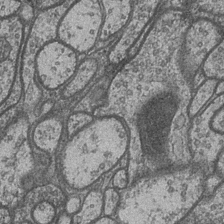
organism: Drosophila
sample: Optic medulla